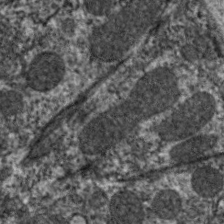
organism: C. elegans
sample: Pharynx